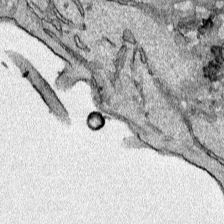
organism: Human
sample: Mitochondria in HCT116 cells